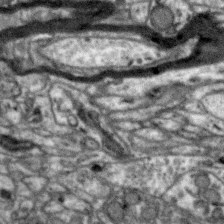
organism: Zebra finch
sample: Brain